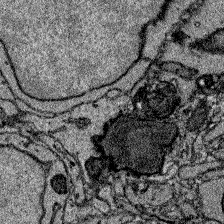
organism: Zebrafish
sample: Larval olfactory bulb